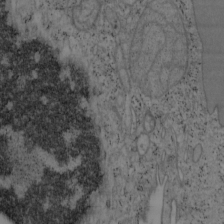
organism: Mouse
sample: OT-I killer T cells with ID8 ovarian cancer cells